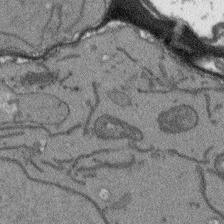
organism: Arabidopsis thaliana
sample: Root tip